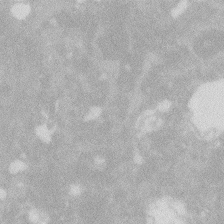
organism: Zebrafish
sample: Macrophage